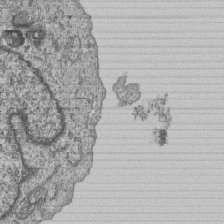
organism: Human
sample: MDA-MB-231 cells